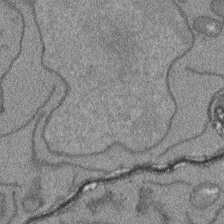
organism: Arabidopsis thaliana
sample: Root tip